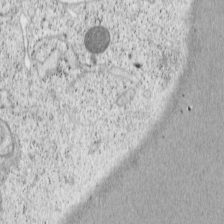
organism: African green monkey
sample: COS-7 cells